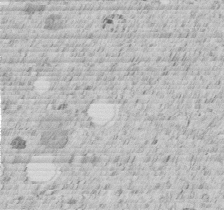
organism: C. elegans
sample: C. elegans embryo early stage